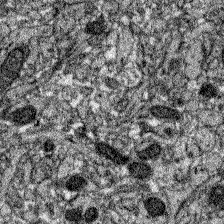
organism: Zebrafish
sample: Larval olfactory bulb